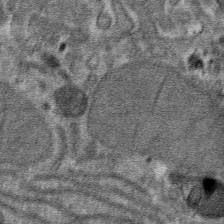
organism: Mouse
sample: Mouse hepatocytes